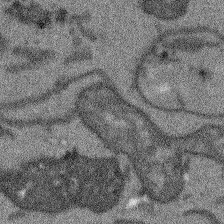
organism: Arabidopsis thaliana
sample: Root tip